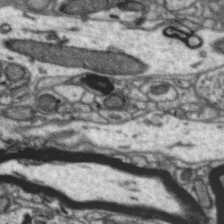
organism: Zebra finch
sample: Brain